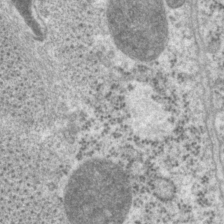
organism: P. pacificus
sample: Pharynx